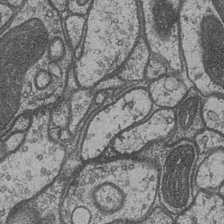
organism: Drosophila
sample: Optic medulla